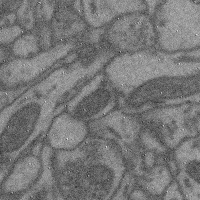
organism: Mouse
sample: Cerebral cortex